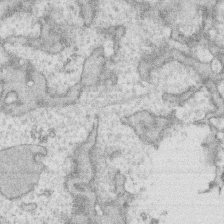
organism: Human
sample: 1205lu cells